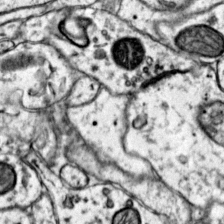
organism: Mouse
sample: Primary visual cortex